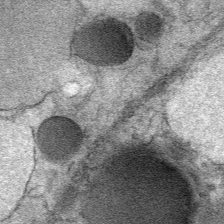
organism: Mouse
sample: Mouse Salivary gland